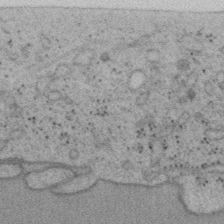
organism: Human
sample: HeLa cells